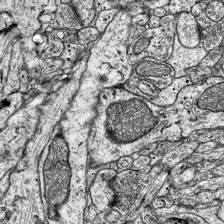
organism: Mouse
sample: Visual Cortex